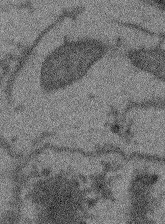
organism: Arabidopsis thaliana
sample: Root tip